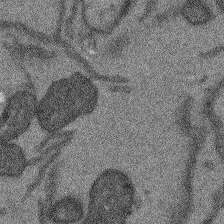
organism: Arabidopsis thaliana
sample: Root tip